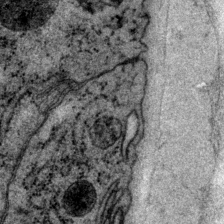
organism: P. pacificus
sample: Pharynx